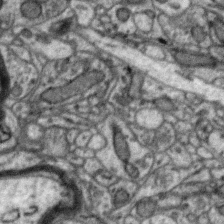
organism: Zebra finch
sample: Brain